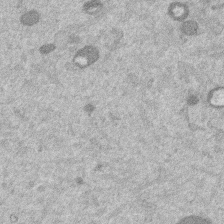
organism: Mouse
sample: Dividing mouse embryo 1 cell stage